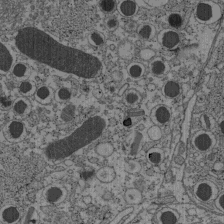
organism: C57BL Mouse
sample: Pancreatic islet